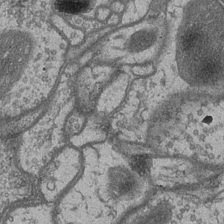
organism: Drosophila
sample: Optic medulla